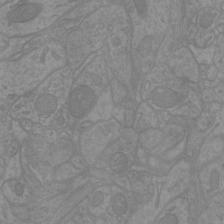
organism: Mouse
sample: Cortical neurons